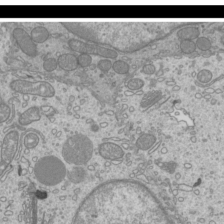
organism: Mouse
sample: Cilia; mouse epididymis